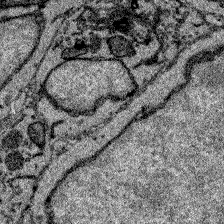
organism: Zebrafish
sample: Larval olfactory bulb